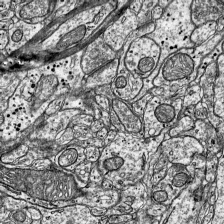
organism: Mouse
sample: Visual Cortex